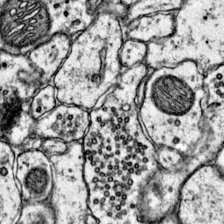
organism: Mouse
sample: Primary visual cortex